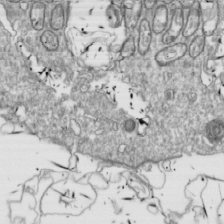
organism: Drosophila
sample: Cell division; meiosis; drosophila spermatocytes